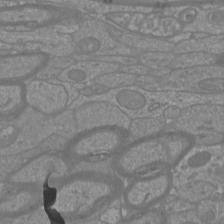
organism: Mouse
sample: Cortical neurons